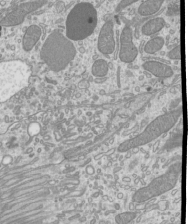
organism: Mouse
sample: Cilia; mouse epididymis